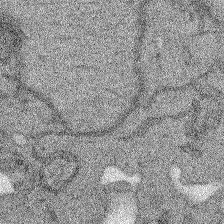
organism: Human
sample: HeLa cells